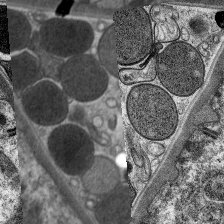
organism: C. elegans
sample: Pharynx